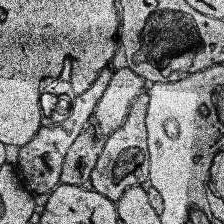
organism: Human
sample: Temporal Lobe